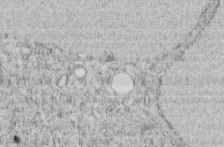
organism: C. elegans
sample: C. elegans embryo early stage